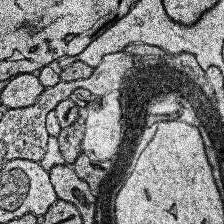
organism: Human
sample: Temporal Lobe